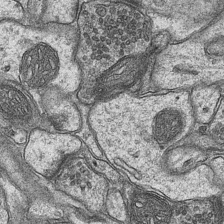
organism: Mouse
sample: CA1 Hippocampus